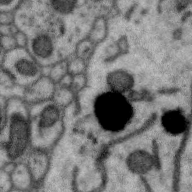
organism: Zebra finch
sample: Brain